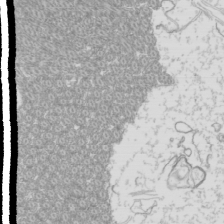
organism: Mouse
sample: Cilia; mouse epididymis